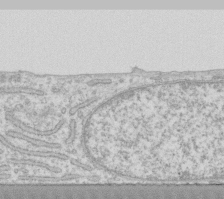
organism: Human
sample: Fibroblast cells